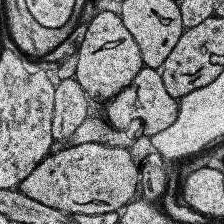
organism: Human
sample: Temporal Lobe